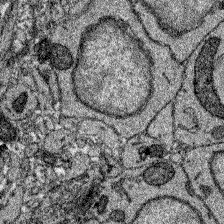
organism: Zebrafish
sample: Larval olfactory bulb